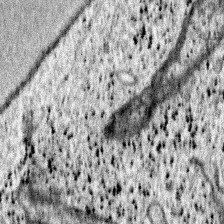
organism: Human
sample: HeLa cells